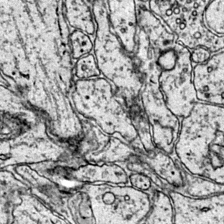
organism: Mouse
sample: Primary visual cortex